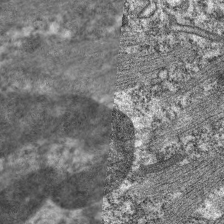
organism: C. elegans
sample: Pharynx